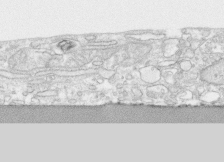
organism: Human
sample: CRL-1474